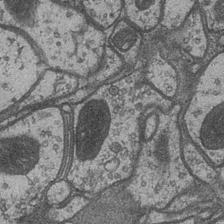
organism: Drosophila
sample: Optic medulla